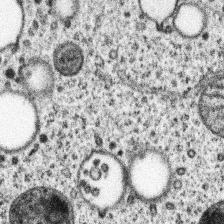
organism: Human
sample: HeLa cells